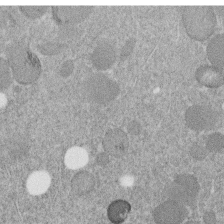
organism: C. elegans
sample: C. elegans embryo early stage